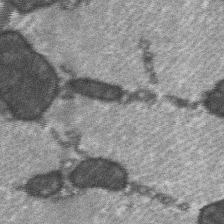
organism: C57BL Mouse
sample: Soleus